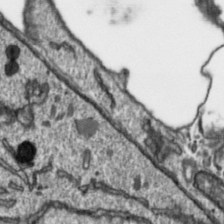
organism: Toxoplasma gondii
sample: Parasites in a vacuole inside a host cell